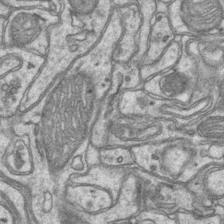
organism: Mouse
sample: CA1 Hippocampus